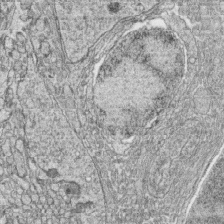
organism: Zebrafish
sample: synaptic ribbons in rod cells and cone cells